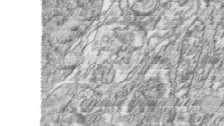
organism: Zebrafish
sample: synaptic ribbons in rod cells and cone cells